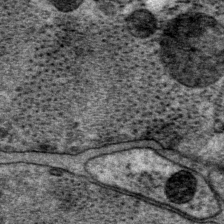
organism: P. pacificus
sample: Pharynx